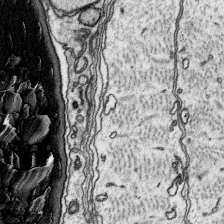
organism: Platynereis dumerilii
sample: Parapodia